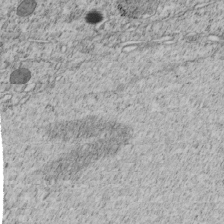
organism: C. elegans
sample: C. elegans embryo early stage